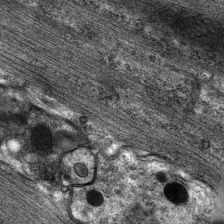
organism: C. elegans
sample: Pharynx